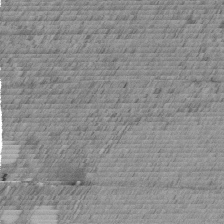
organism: C. elegans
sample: C. elegans embryo early stage